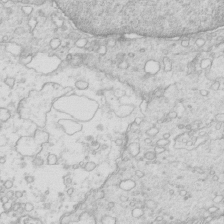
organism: Mouse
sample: Multiciliated cells